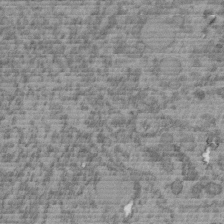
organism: C. elegans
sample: C. elegans embryo early stage